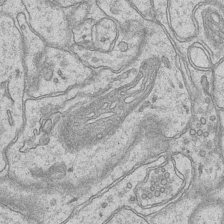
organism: Mouse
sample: CA1 Hippocampus